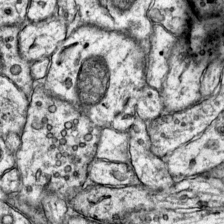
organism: Mouse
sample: Primary visual cortex